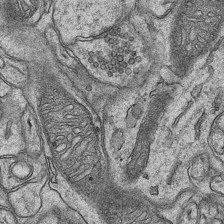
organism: Mouse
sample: CA1 Hippocampus